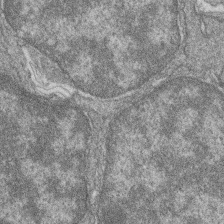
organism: Zebrafish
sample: Cilia; retinal pigment epithelium